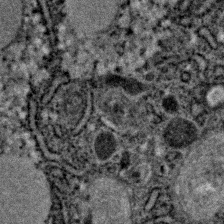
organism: C. elegans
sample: C. elegans embryo